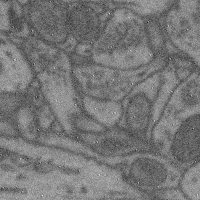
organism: Mouse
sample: Cerebral cortex